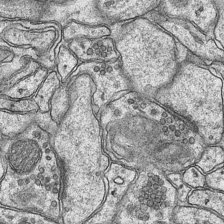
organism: Mouse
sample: CA1 Hippocampus